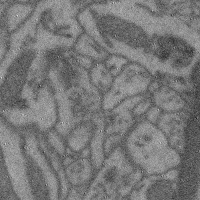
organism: Mouse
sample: Cerebral cortex